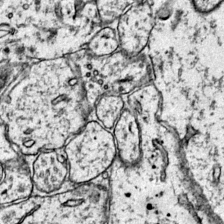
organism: Mouse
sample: Primary visual cortex